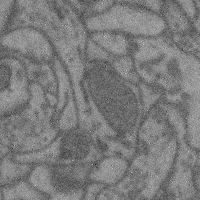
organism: Mouse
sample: Cerebral cortex